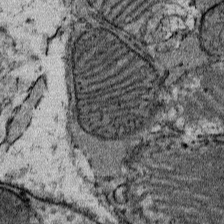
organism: Mouse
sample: Mouse Salivary gland